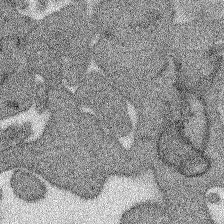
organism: Human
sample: HeLa cells